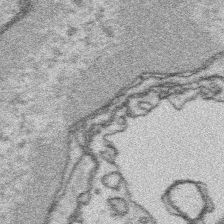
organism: Platynereis dumerilii